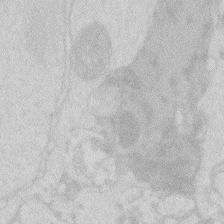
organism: Zebrafish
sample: Macrophage